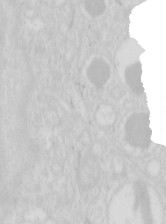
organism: Mouse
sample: Pancreas